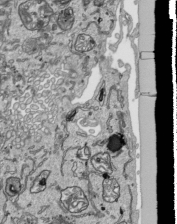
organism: Human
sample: Mitochondria in HCT116 cells